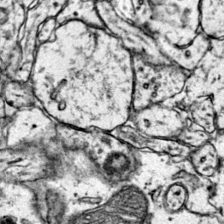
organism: Mouse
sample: Primary visual cortex